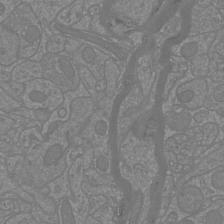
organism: Mouse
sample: Cortical neurons